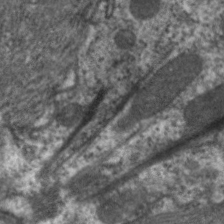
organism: C. elegans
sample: Pharynx